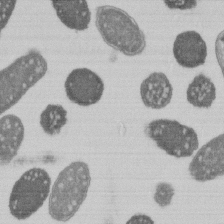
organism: E. coli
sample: Bacterial nucleoid